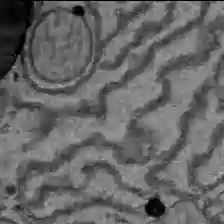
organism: C57BL Mouse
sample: Liver